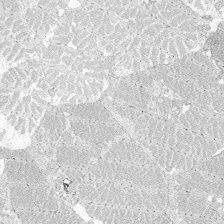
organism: Zebrafish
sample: Whole-Brain